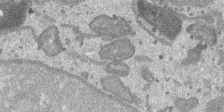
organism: Human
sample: Lung epithelial cells infected with SARS-CoV-2